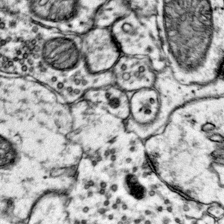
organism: Mouse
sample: Primary visual cortex